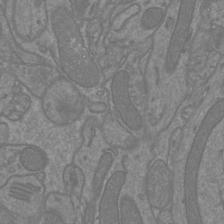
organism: Mouse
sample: Cortical neurons